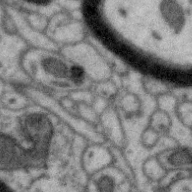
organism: Zebra finch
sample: Brain